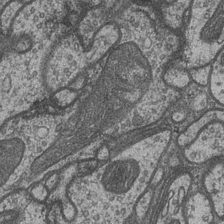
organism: Drosophila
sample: Optic medulla